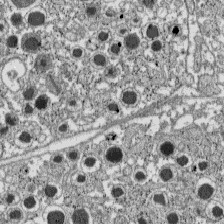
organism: C57BL Mouse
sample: Pancreatic islet